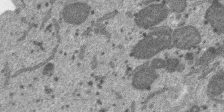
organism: Human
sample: Lung epithelial cells infected with SARS-CoV-2